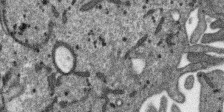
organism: Human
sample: Lung epithelial cells infected with SARS-CoV-2